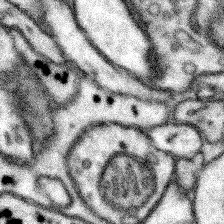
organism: Mouse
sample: Somatosensory cortex neuropil